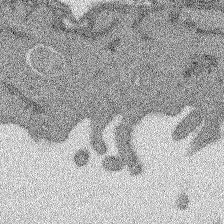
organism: Human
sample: HeLa cells